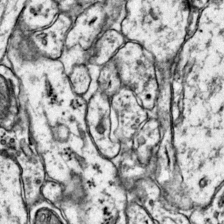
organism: Mouse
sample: Primary visual cortex